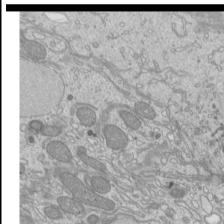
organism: Mouse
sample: Cilia; mouse epididymis